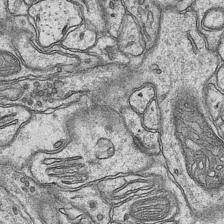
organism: Mouse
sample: CA1 Hippocampus